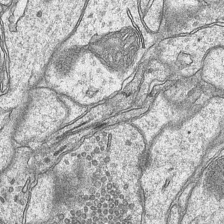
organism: Mouse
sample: CA1 Hippocampus